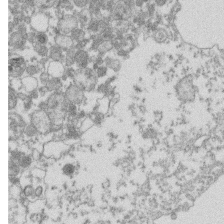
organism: Human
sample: HeLa cell HIV synapse